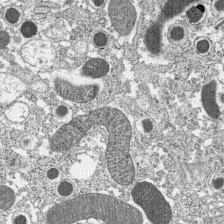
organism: C57BL Mouse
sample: Pancreatic islet